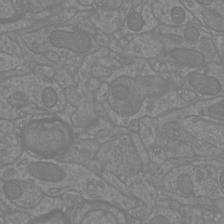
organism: Mouse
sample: Cortical neurons